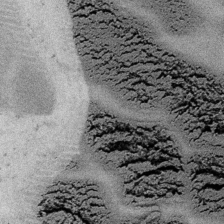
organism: Embia sp.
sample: Silk gland